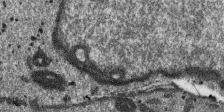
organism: Human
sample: Lung epithelial cells infected with SARS-CoV-2